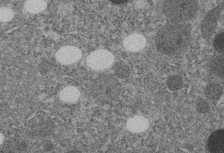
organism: C. elegans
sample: C. elegans embryo early stage